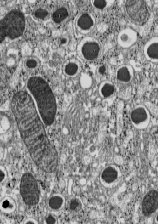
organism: C57BL Mouse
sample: Pancreatic islet